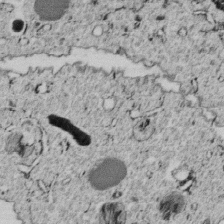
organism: C. elegans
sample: C. elegans embryo early stage